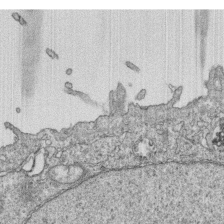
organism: Human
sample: HeLa cell HIV synapse